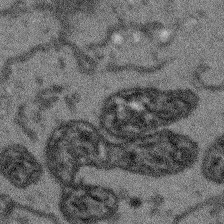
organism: Arabidopsis thaliana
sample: Root tip